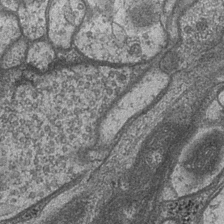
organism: Drosophila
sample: Optic medulla